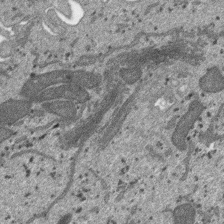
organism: Human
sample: Lung epithelial cells infected with SARS-CoV-2